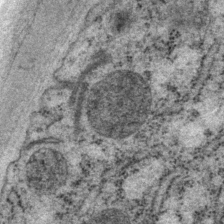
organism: P. pacificus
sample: Pharynx